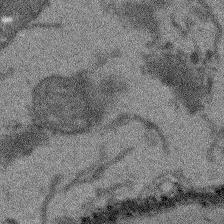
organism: Arabidopsis thaliana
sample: Root tip